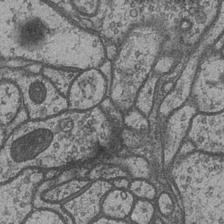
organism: Drosophila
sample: Optic medulla